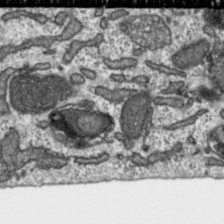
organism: Toxoplasma gondii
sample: Parasites in a vacuole inside a host cell